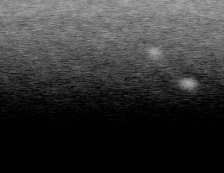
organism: Human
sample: HeLa cells